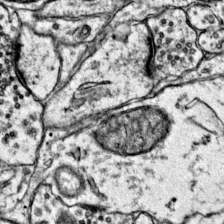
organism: Mouse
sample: Primary visual cortex